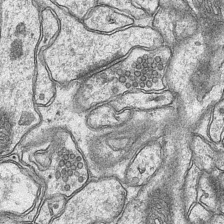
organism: Mouse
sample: CA1 Hippocampus